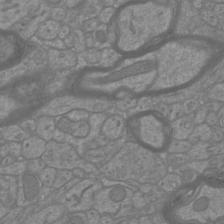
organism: Mouse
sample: Cortical neurons